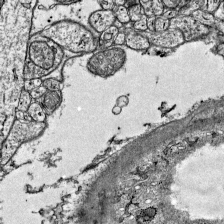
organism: Mouse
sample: Visual Cortex